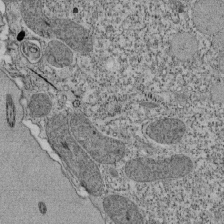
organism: Tetrahymena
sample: Cilia in tetrahymena